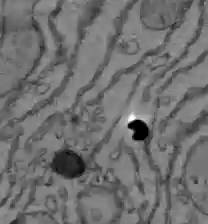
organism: C57BL Mouse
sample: Liver